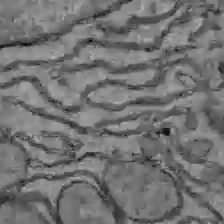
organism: C57BL Mouse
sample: Liver